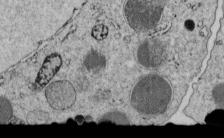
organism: C. elegans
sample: C. elegans embryo early stage